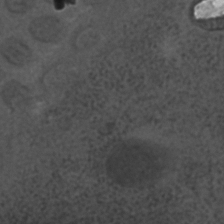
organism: C. elegans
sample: C. elegans embryo